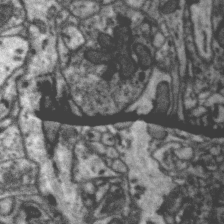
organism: Zebra finch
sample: Brain